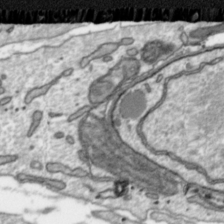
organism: Toxoplasma gondii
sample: Parasites in a vacuole inside a host cell